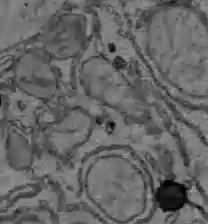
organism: C57BL Mouse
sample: Liver